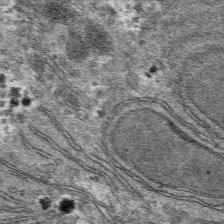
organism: Mouse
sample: Mouse hepatocytes